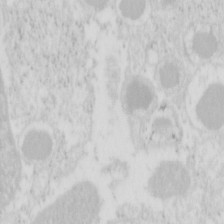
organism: Mouse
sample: Pancreas